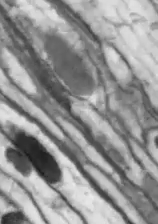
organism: Drosophila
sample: Optic lobe